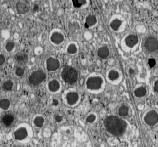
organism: C57BL Mouse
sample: Pancreatic islet